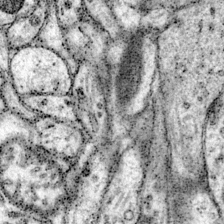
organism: Mouse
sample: Primary visual cortex